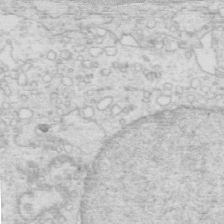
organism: Mouse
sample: Multiciliated cells